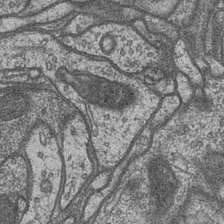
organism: Drosophila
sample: Optic medulla